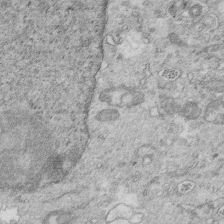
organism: Mouse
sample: Multiciliated cells